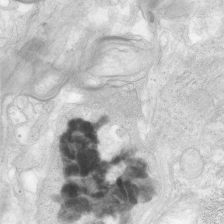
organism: Human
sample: Neocortex